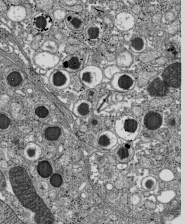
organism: C57BL Mouse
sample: Pancreatic islet